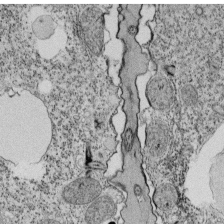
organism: Tetrahymena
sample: Cilia in tetrahymena